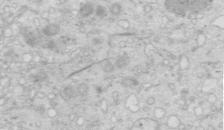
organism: Mouse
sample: Multiciliated cells